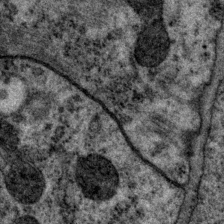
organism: P. pacificus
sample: Pharynx